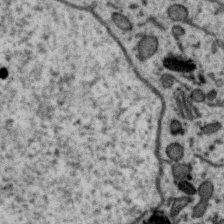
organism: Zebra finch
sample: Brain